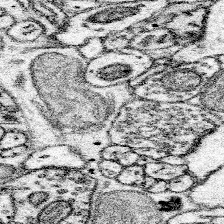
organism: Mouse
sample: Somatosensory cortex neuropil